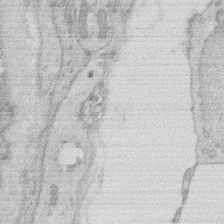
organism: Rat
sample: Salivary granule